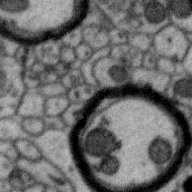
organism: Zebra finch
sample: Brain